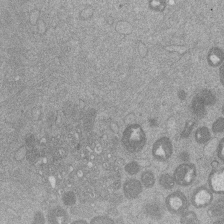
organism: Mouse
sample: Dividing mouse embryo 1 cell stage